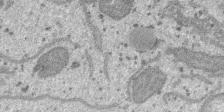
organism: Human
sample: Lung epithelial cells infected with SARS-CoV-2